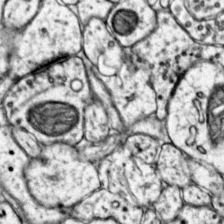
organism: Mouse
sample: Primary visual cortex